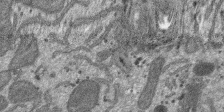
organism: Human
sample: Lung epithelial cells infected with SARS-CoV-2